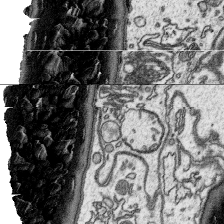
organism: Platynereis dumerilii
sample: Parapodia